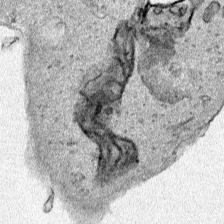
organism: Human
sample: Mitochondria in HCT116 cells